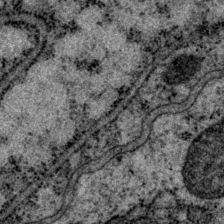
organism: P. pacificus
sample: Pharynx